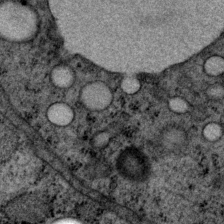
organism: P. pacificus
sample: Pharynx